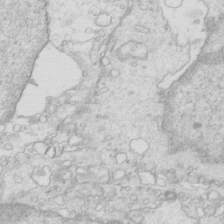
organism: Mouse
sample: Multiciliated cells